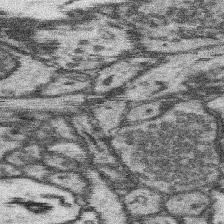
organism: Mouse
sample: Somatosensory cortex neuropil